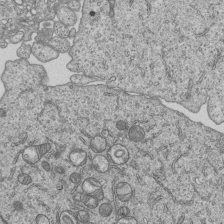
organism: Human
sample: MDA-MB-231 cells